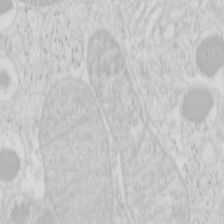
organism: Mouse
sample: Pancreas